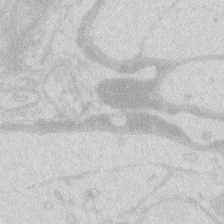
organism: Zebrafish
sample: Macrophage